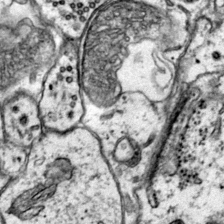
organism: Mouse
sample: Primary visual cortex